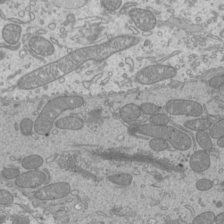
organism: Mouse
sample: Cilia; mouse epididymis